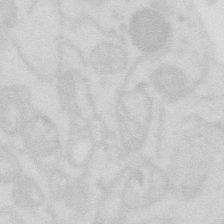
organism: Human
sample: HeLa cells